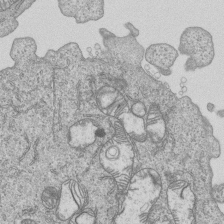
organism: Human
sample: MDA-MB-231 cells